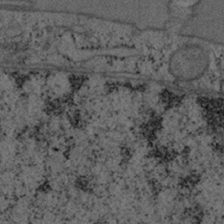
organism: Human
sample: HeLa cells